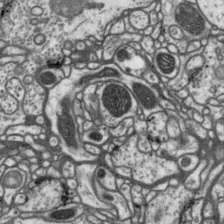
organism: Drosophila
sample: Protocerebral bridge